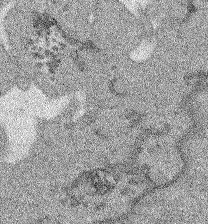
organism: Human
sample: HeLa cells